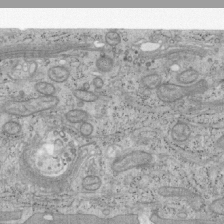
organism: Human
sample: HeLa cells